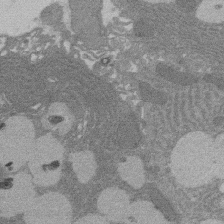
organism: Rat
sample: Salivary granule